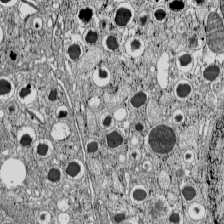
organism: C57BL Mouse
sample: Pancreatic islet